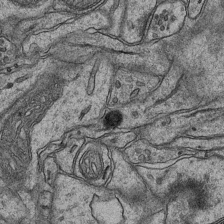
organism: Mouse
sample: CA1 Hippocampus